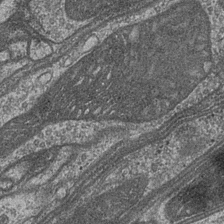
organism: Drosophila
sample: Optic medulla